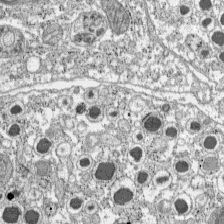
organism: C57BL Mouse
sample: Pancreatic islet